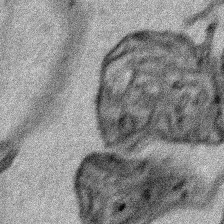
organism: Human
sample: Mitochondria in HCT116 cells